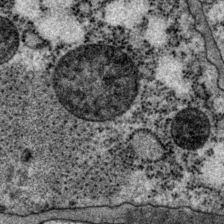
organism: P. pacificus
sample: Pharynx